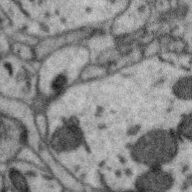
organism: Zebra finch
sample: Brain